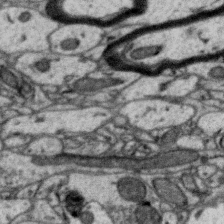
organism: Zebra finch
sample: Brain